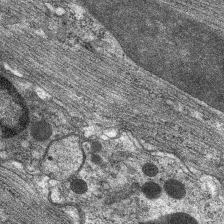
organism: C. elegans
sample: Pharynx